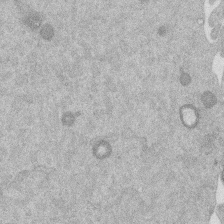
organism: Mouse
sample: Dividing mouse embryo 1 cell stage